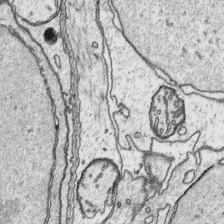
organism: Platynereis dumerilii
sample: Parapodia